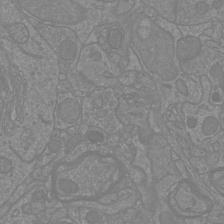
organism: Mouse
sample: Cortical neurons